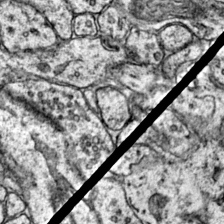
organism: Mouse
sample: Primary visual cortex